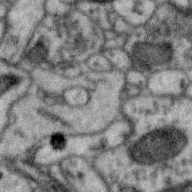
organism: Zebra finch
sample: Brain